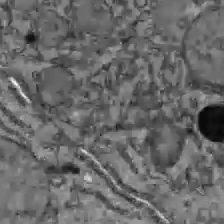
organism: C57BL Mouse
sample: Liver